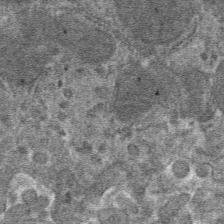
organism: Mouse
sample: Mouse hepatocytes